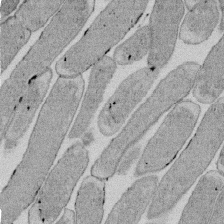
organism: E. coli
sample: Bacterial nucleoid